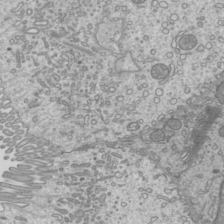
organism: Mouse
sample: Cilia; mouse epididymis